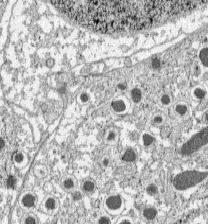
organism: C57BL Mouse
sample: Pancreatic islet